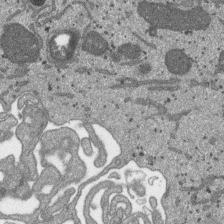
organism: Human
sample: Lung epithelial cells infected with SARS-CoV-2